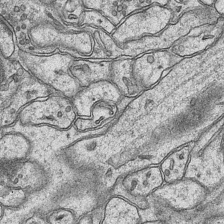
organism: Mouse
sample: CA1 Hippocampus